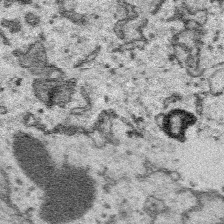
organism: Platynereis dumerilii